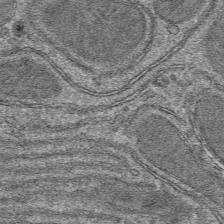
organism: Mouse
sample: Mouse hepatocytes